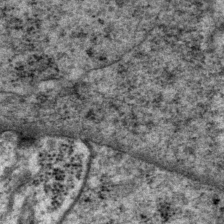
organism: P. pacificus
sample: Pharynx